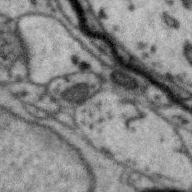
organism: Zebra finch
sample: Brain